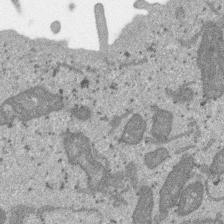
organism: Human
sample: Lung epithelial cells infected with SARS-CoV-2